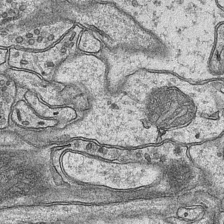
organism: Mouse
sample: CA1 Hippocampus